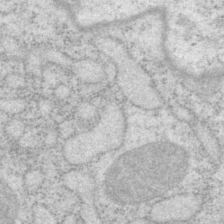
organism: P. pacificus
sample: Pharynx